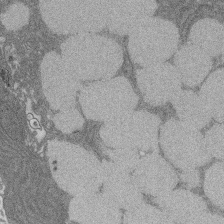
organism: Rat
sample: Salivary granule